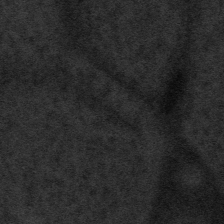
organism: Tuwongella immobilis